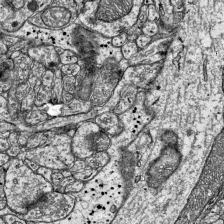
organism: Mouse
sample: Visual Cortex